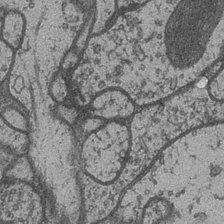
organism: Drosophila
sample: Optic medulla